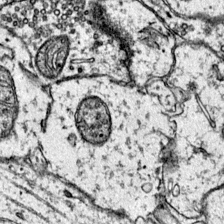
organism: Mouse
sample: Primary visual cortex